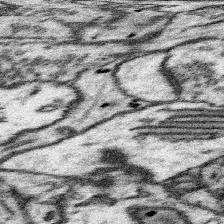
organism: Mouse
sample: Somatosensory cortex neuropil